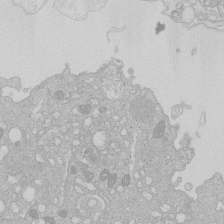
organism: Human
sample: Macrophage cells